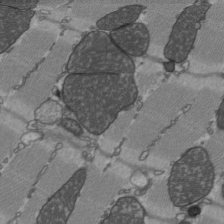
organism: C57BL Mouse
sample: Heart